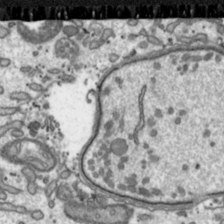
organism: Toxoplasma gondii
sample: Parasites in a vacuole inside a host cell